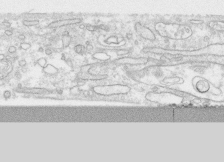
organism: Human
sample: CRL-1474